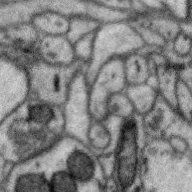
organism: Zebra finch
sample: Brain